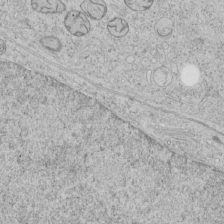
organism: Human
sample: Mitochondria in HCT116 cells